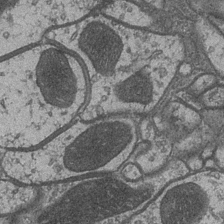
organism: Drosophila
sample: Optic medulla